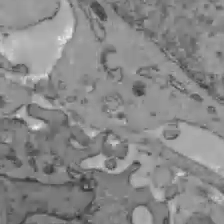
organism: C57BL Mouse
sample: Liver